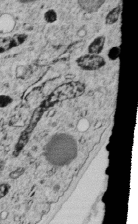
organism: C. elegans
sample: C. elegans embryo early stage